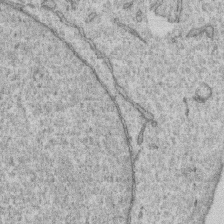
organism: Human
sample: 1205lu cells